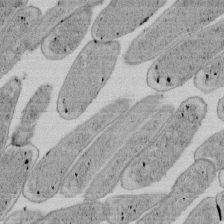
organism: E. coli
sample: Bacterial nucleoid